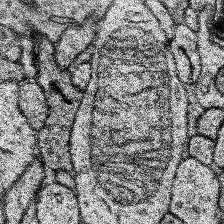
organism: Human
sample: Temporal Lobe